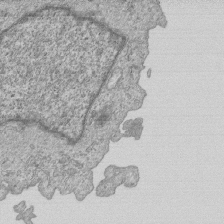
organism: Human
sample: MDA-MB-231 cells